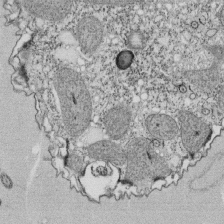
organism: Tetrahymena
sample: Cilia in tetrahymena